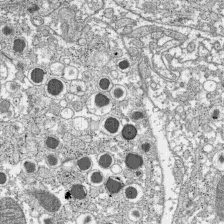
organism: C57BL Mouse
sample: Pancreatic islet